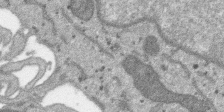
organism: Human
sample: Lung epithelial cells infected with SARS-CoV-2